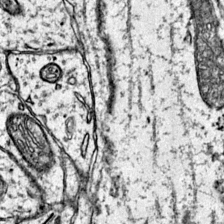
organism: Mouse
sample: Primary visual cortex